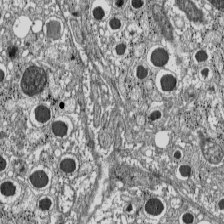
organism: C57BL Mouse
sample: Pancreatic islet